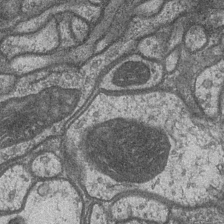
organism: Drosophila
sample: Optic medulla